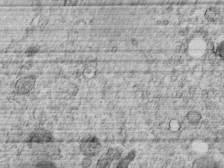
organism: C. elegans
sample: C. elegans embryo early stage